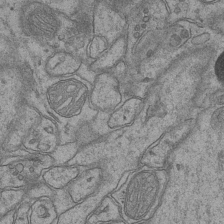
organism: Mouse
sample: CA1 Hippocampus